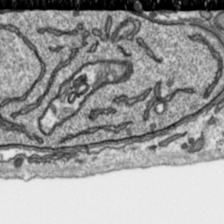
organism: Toxoplasma gondii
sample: Parasites in a vacuole inside a host cell